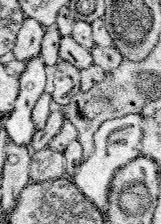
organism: Mouse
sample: Somatosensory cortex neuropil